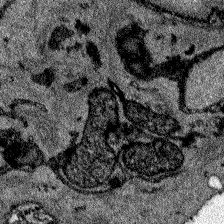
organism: Zebrafish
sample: Larval olfactory bulb